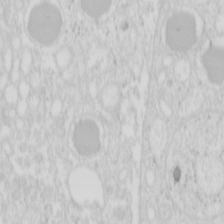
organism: Mouse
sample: Pancreas